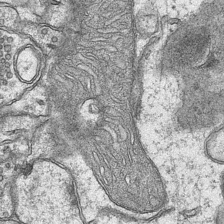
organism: Mouse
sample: CA1 Hippocampus